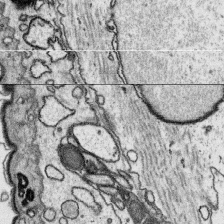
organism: Platynereis dumerilii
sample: Parapodia